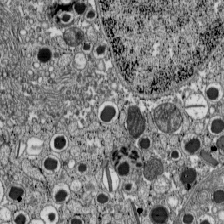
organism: C57BL Mouse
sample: Pancreatic islet